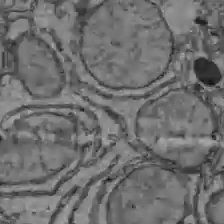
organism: C57BL Mouse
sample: Liver